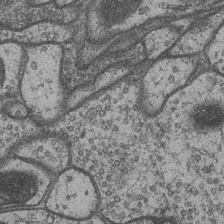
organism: Drosophila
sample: Optic medulla